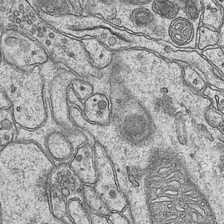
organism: Mouse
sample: CA1 Hippocampus